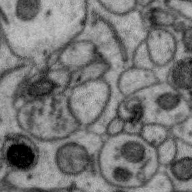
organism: Zebra finch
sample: Brain